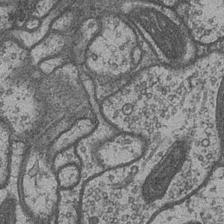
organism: Drosophila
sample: Optic medulla